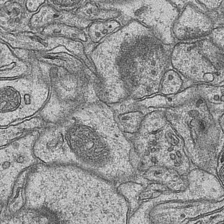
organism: Mouse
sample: CA1 Hippocampus